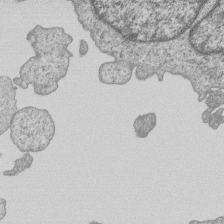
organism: Human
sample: MDA-MB-231 cells